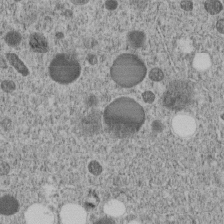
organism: C. elegans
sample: C. elegans embryo early stage